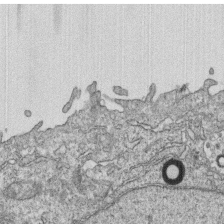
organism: Human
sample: HeLa cell HIV synapse